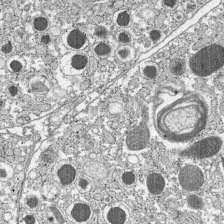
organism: C57BL Mouse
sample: Pancreatic islet